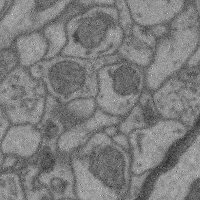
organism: Mouse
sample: Cerebral cortex